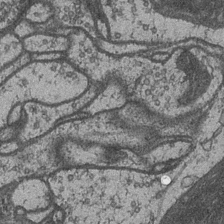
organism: Drosophila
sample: Optic medulla